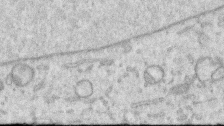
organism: Human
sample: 1205lu cells